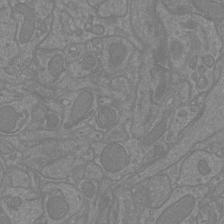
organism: Mouse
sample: Cortical neurons